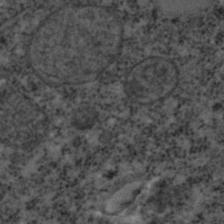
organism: C. elegans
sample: C. elegans embryo